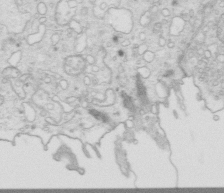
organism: Mouse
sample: Multiciliated cells